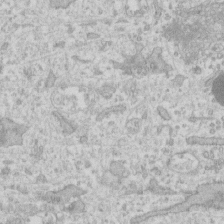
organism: Human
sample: Fibroblast cells